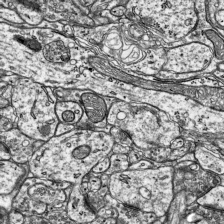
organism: Mouse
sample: Visual Cortex